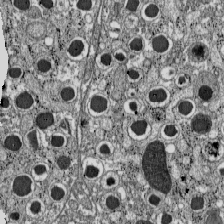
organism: C57BL Mouse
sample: Pancreatic islet